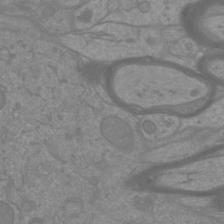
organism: Mouse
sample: Cortical neurons